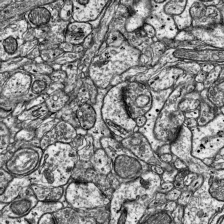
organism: Mouse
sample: Visual Cortex